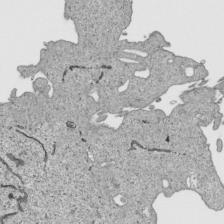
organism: Human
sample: Mitochondria in HCT116 cells